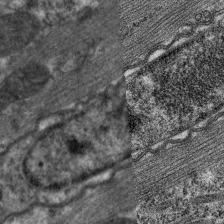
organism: C. elegans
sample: Pharynx